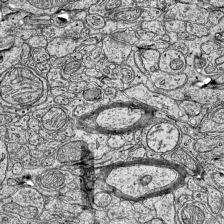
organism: Mouse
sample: Visual Cortex